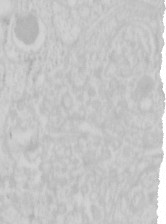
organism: Mouse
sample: Pancreas